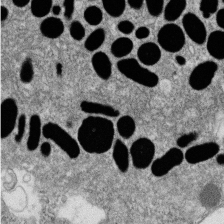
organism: Zebrafish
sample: Cilia; retinal pigment epithelium